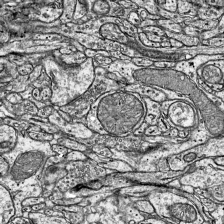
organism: Mouse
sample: Visual Cortex